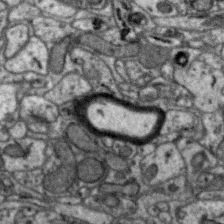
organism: Zebra finch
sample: Brain